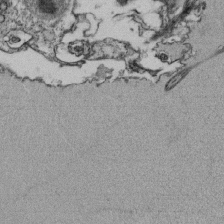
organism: Tetrahymena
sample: Cilia in tetrahymena